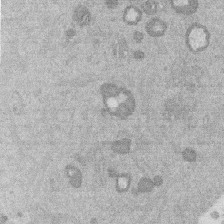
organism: Mouse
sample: Dividing mouse embryo 1 cell stage